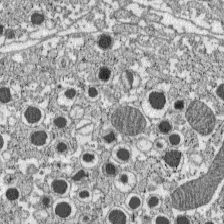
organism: C57BL Mouse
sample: Pancreatic islet